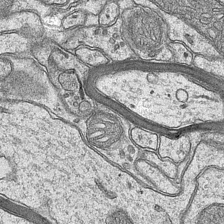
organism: Mouse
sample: CA1 Hippocampus